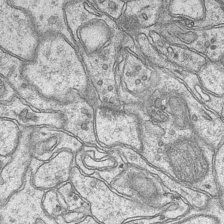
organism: Mouse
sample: CA1 Hippocampus